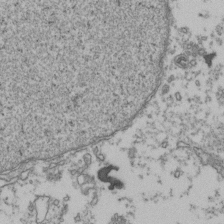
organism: Human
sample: Activated Jurkat CD4+ T cells